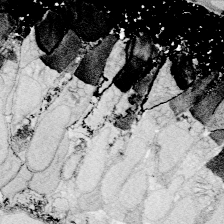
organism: Zebrafish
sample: Whole-Brain